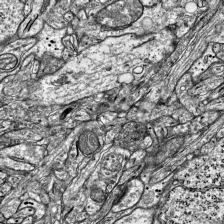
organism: Mouse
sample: Visual Cortex